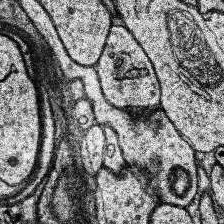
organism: Human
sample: Temporal Lobe